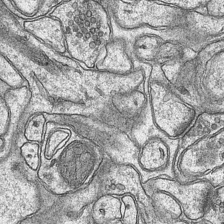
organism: Mouse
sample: CA1 Hippocampus